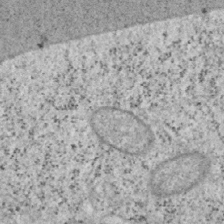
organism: Mouse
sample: OT-I killer T cells with ID8 ovarian cancer cells